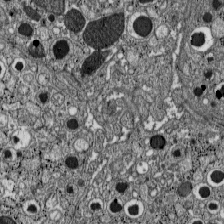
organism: C57BL Mouse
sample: Pancreatic islet